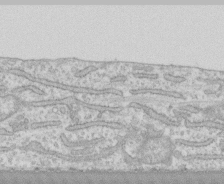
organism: Human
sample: CRL-1474